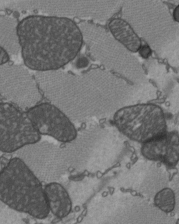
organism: C57BL Mouse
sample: Heart